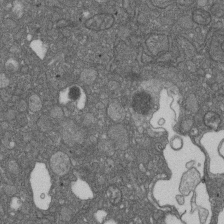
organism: Drosophila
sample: Nephrocyte